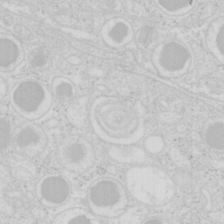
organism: Mouse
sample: Pancreas